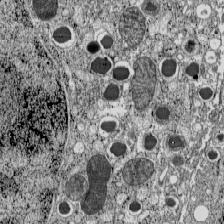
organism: C57BL Mouse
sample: Pancreatic islet